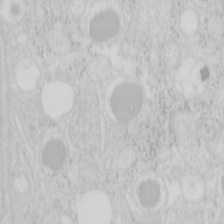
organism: Mouse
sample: Pancreas